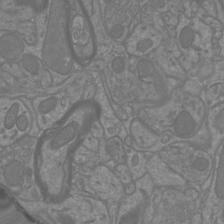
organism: Mouse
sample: Cortical neurons